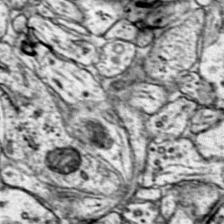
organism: Mouse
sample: Primary visual cortex